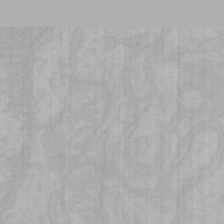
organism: Mouse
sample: Choroid plexus